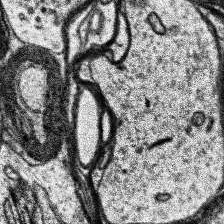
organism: Human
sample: Temporal Lobe